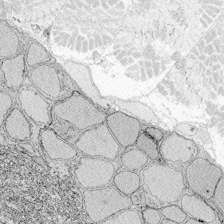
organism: Zebrafish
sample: Whole-Brain